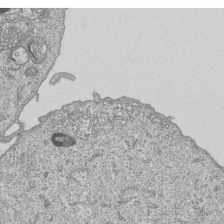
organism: Human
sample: MDA-MB-231 cells